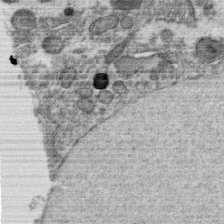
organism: C. elegans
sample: C. elegans oocyte; sperm cells